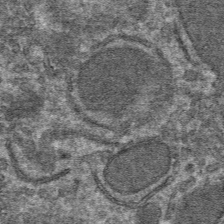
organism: Mouse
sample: Mouse hepatocytes